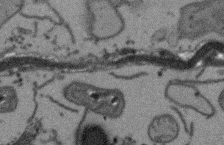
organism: Arabidopsis thaliana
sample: Root tip